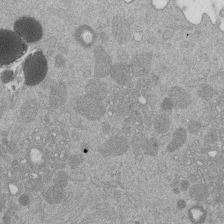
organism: Mouse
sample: Dividing mouse embryo 1 cell stage